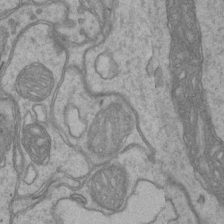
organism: Mouse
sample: CA1 Hippocampus